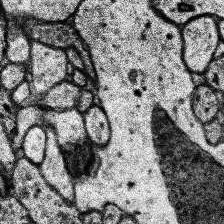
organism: Human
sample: Temporal Lobe